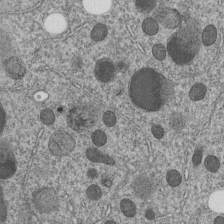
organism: C. elegans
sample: C. elegans embryo early stage